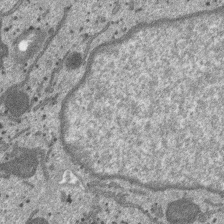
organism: Human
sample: Lung epithelial cells infected with SARS-CoV-2